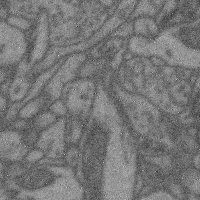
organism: Mouse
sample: Cerebral cortex